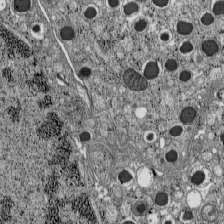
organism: C57BL Mouse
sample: Pancreatic islet